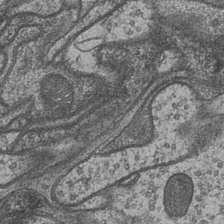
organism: Drosophila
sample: Optic medulla